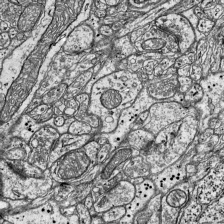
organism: Mouse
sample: Visual Cortex